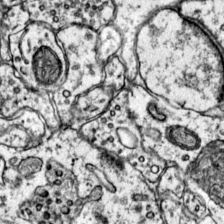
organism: Mouse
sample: Primary visual cortex